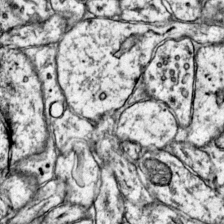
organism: Mouse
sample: Primary visual cortex